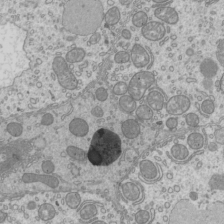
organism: Mouse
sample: Cilia; mouse epididymis